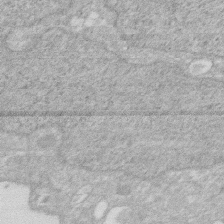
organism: Human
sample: HIV infected U937 cells